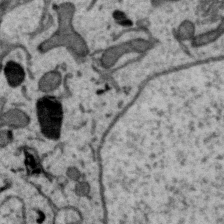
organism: Zebra finch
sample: Brain